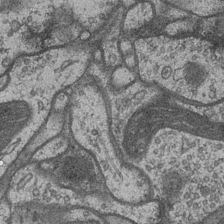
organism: Drosophila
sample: Optic medulla